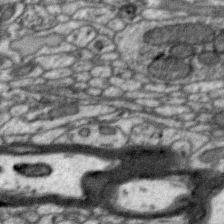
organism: Zebra finch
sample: Brain